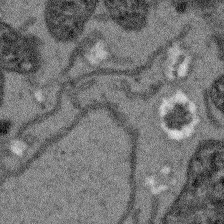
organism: Arabidopsis thaliana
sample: Root tip